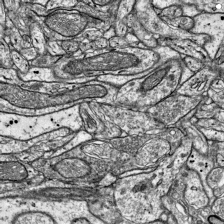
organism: Mouse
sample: Visual Cortex